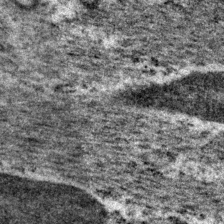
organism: P. pacificus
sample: Pharynx